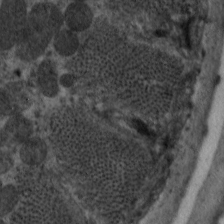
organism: C. elegans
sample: Pharynx